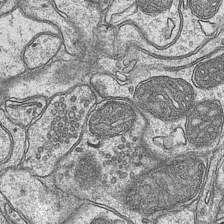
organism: Mouse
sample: CA1 Hippocampus